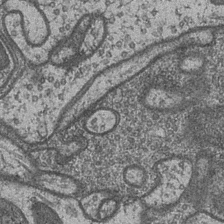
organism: Drosophila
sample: Optic medulla